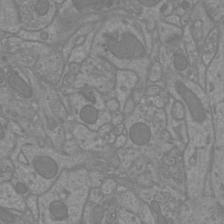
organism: Mouse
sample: Cortical neurons